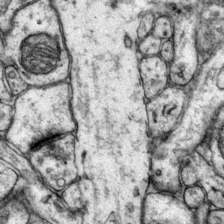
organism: Mouse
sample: Primary visual cortex